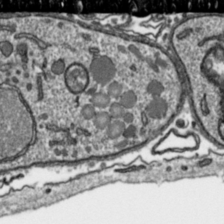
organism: Toxoplasma gondii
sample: Parasites in a vacuole inside a host cell